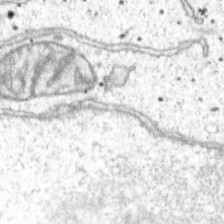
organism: Human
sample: HeLa cells